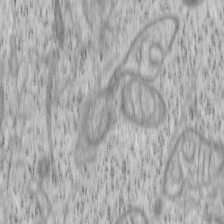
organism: Human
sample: HeLa cells